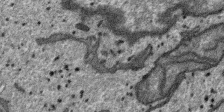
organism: Human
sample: Lung epithelial cells, uninfected (mock) control